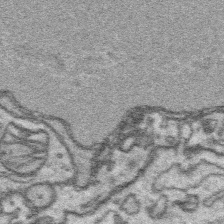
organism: Platynereis dumerilii